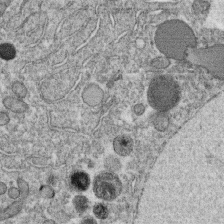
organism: C. elegans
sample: C. elegans oocyte; sperm cells